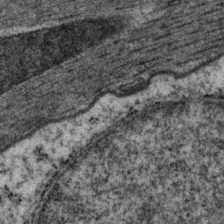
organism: P. pacificus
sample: Pharynx